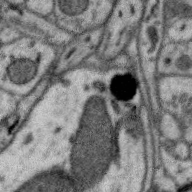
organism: Zebra finch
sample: Brain